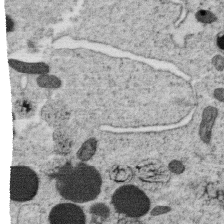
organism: C. elegans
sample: C. elegans oocyte; sperm cells